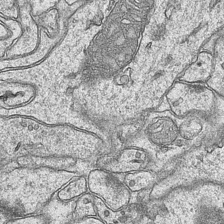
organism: Mouse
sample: CA1 Hippocampus